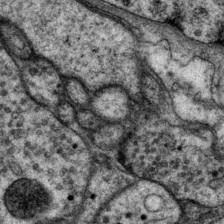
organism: P. pacificus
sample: Pharynx